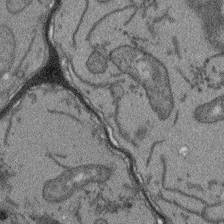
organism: Arabidopsis thaliana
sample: Root tip